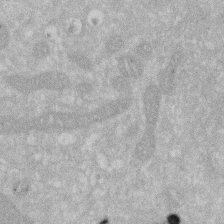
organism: Human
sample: HIV infected U937 cells